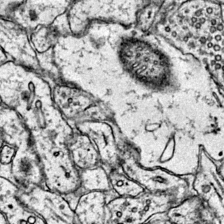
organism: Mouse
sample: Primary visual cortex